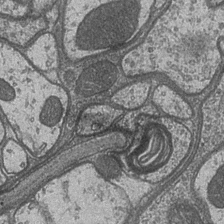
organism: Drosophila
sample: Optic medulla